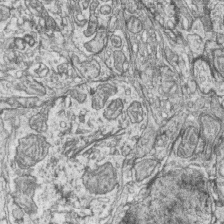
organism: Zebrafish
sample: synaptic ribbons in rod cells and cone cells